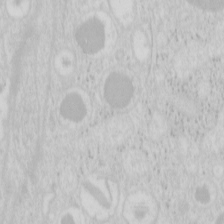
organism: Mouse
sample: Pancreas